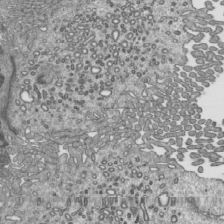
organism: Mouse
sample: Mouse epididymis efferent ductule cilia